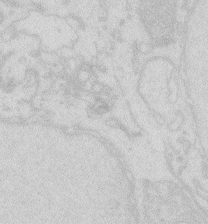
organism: Zebrafish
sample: Macrophage